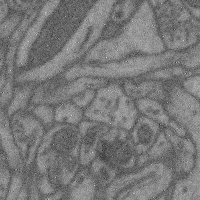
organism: Mouse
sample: Cerebral cortex